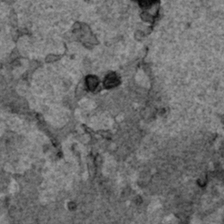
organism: Human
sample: Mitochondria in HCT116 cells